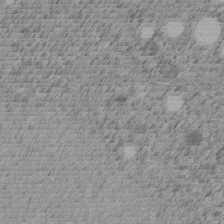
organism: C. elegans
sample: C. elegans embryo early stage